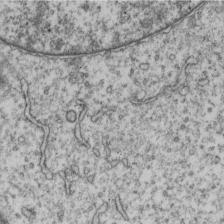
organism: Human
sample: MDA-MB-231 cells